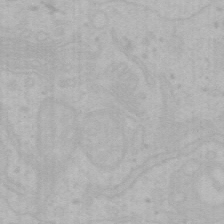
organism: Mouse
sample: Choroid plexus